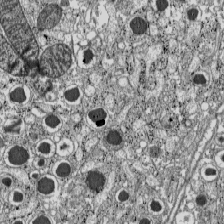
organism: C57BL Mouse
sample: Pancreatic islet